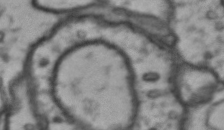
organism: Drosophila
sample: Brain